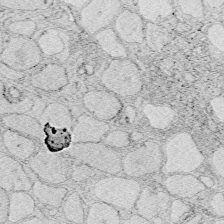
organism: Zebrafish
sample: Whole-Brain